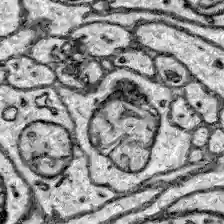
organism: Zebrafish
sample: Brain